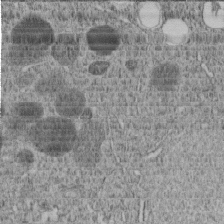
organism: C. elegans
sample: C. elegans embryo early stage